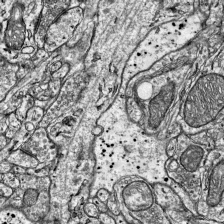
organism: Mouse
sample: Visual Cortex